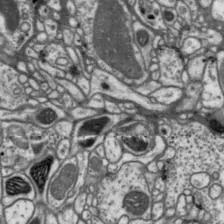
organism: Drosophila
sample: Protocerebral bridge